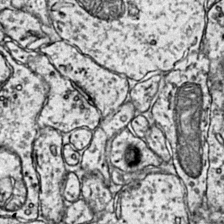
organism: Mouse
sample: Primary visual cortex